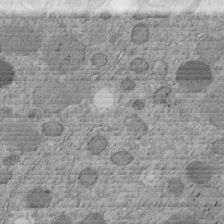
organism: C. elegans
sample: C. elegans embryo early stage